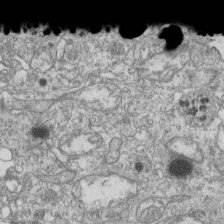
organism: Human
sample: HeLa cell HIV synapse